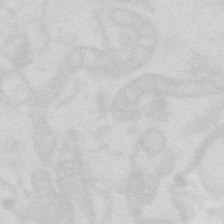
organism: Human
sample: HeLa cells